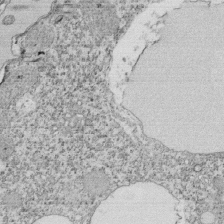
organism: Tetrahymena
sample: Cilia in tetrahymena